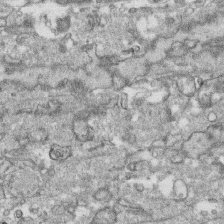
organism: Human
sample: CRL-1474